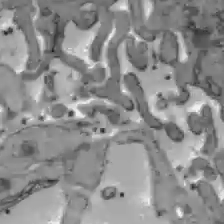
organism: C57BL Mouse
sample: Liver